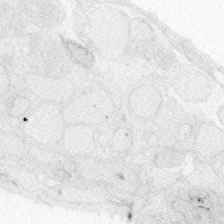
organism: Zebrafish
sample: Whole-Brain